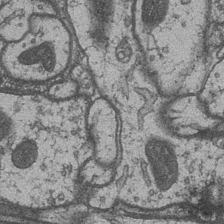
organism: Drosophila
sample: Optic medulla